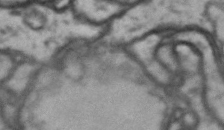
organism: Drosophila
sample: Brain